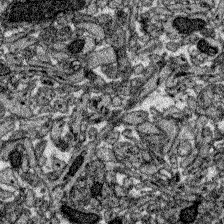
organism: Zebrafish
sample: Larval olfactory bulb